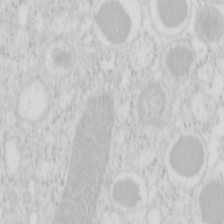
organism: Mouse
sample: Pancreas